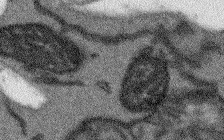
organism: Arabidopsis thaliana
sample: Root tip